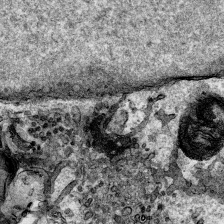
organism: Human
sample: Mitochondria in HCT116 cells